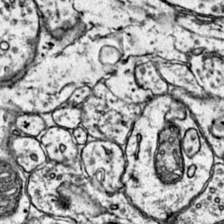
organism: Mouse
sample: Primary visual cortex